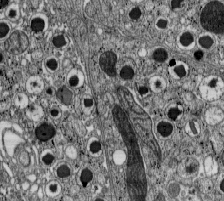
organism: C57BL Mouse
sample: Pancreatic islet